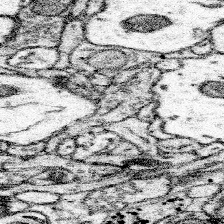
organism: Mouse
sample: Somatosensory cortex neuropil